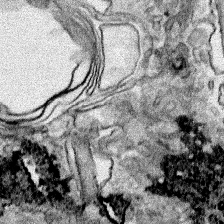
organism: Human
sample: Mitochondria in HCT116 cells